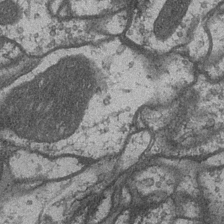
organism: Drosophila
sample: Optic medulla